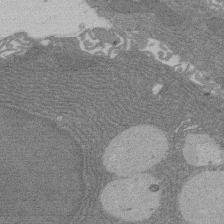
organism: Rat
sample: Salivary granule